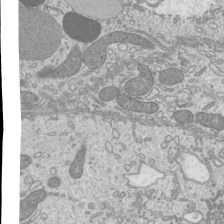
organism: Mouse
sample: Cilia; mouse epididymis